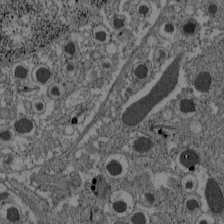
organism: C57BL Mouse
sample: Pancreatic islet